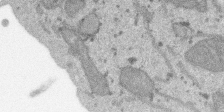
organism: Human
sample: Lung epithelial cells infected with SARS-CoV-2